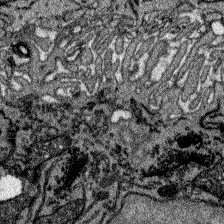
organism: Zebrafish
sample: Larval olfactory bulb